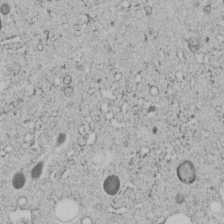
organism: C. elegans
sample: C. elegans embryo early stage